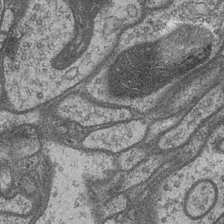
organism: Drosophila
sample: Optic medulla